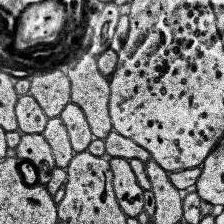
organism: Human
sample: Temporal Lobe